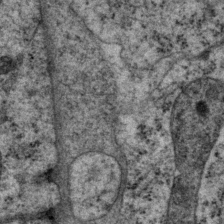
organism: P. pacificus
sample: Pharynx